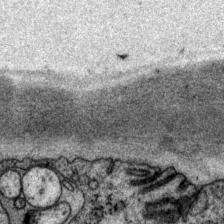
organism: P. pacificus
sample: Pharynx